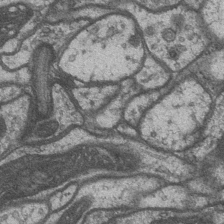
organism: Drosophila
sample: Optic medulla